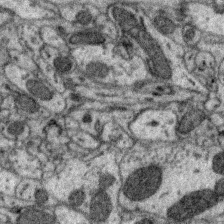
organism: Zebra finch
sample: Brain